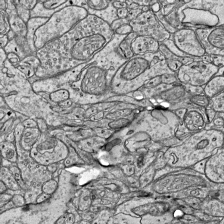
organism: Mouse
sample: Visual Cortex